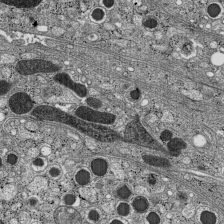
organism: C57BL Mouse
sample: Pancreatic islet